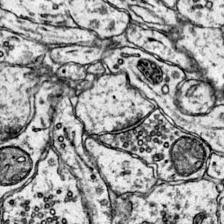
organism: Mouse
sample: Primary visual cortex